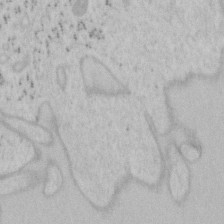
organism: Human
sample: HeLa cells